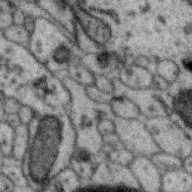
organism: Zebra finch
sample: Brain